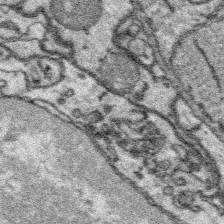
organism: Platynereis dumerilii